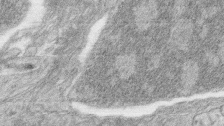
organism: Zebrafish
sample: synaptic ribbons in rod cells and cone cells